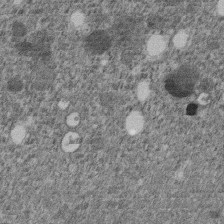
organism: C. elegans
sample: C. elegans embryo early stage